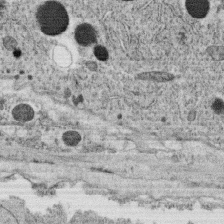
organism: C. elegans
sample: C. elegans oocyte; sperm cells